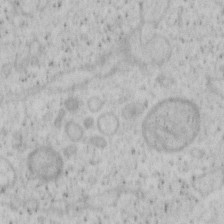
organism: Human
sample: HeLa cells